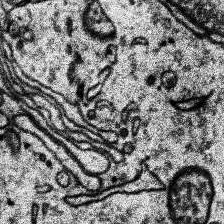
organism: Human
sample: Temporal Lobe